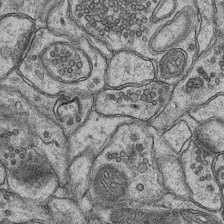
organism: Mouse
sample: CA1 Hippocampus